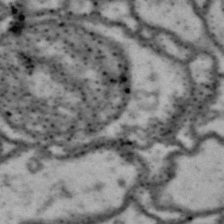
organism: Drosophila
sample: Brain